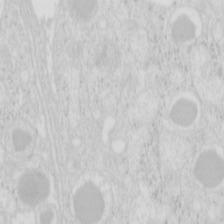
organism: Mouse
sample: Pancreas